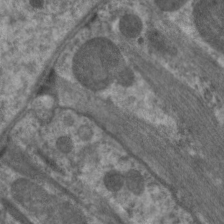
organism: C. elegans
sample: Pharynx